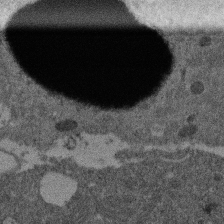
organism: Mouse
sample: Dividing mouse embryo 1 cell stage